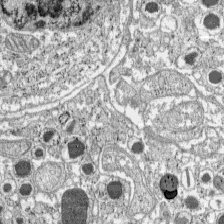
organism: C57BL Mouse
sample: Pancreatic islet